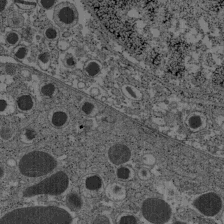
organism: C57BL Mouse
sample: Pancreatic islet